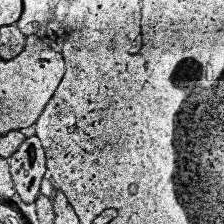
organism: Human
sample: Temporal Lobe